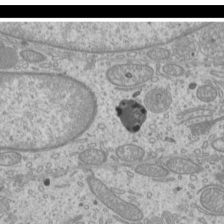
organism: Mouse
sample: Cilia; mouse epididymis